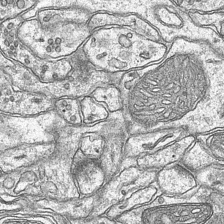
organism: Mouse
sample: CA1 Hippocampus